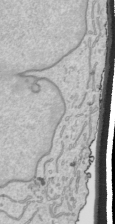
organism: Human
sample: Mitochondria in HCT116 cells